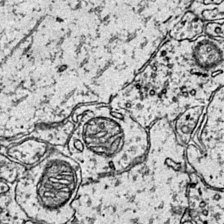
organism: Mouse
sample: Primary visual cortex